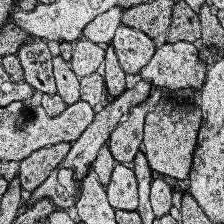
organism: Human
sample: Temporal Lobe